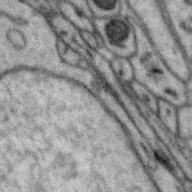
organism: Zebra finch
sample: Brain